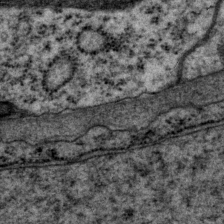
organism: P. pacificus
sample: Pharynx